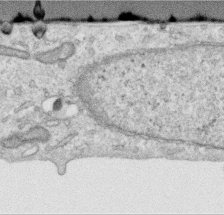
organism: Human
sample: Centriole in RPE cells